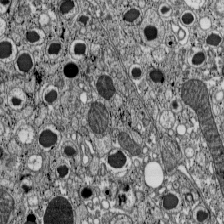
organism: C57BL Mouse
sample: Pancreatic islet